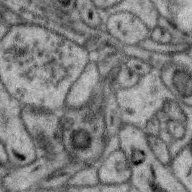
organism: Zebra finch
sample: Brain